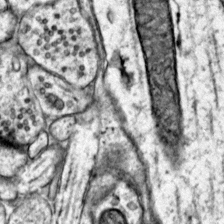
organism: Mouse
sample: Primary visual cortex